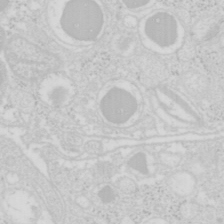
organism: Mouse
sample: Pancreas